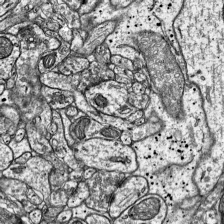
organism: Mouse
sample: Visual Cortex